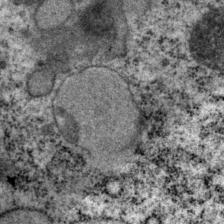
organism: P. pacificus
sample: Pharynx